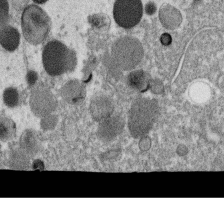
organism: C. elegans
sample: C. elegans oocyte; sperm cells